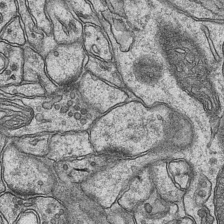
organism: Mouse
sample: CA1 Hippocampus